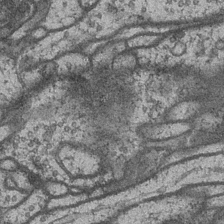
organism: Drosophila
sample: Optic medulla